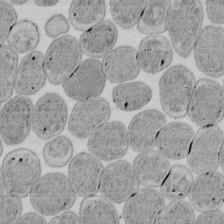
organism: E. coli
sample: Bacterial nucleoid